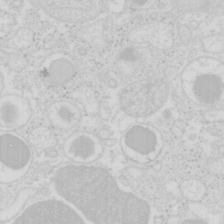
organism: Mouse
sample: Pancreas